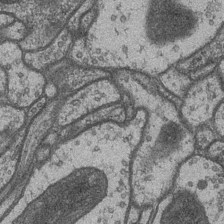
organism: Drosophila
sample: Optic medulla